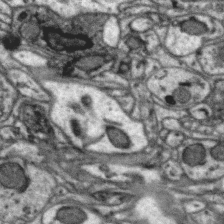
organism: Zebra finch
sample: Brain